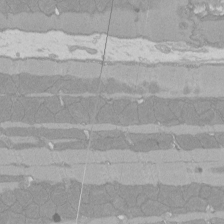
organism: Rat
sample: Left ventricle